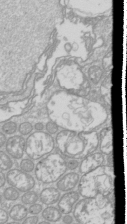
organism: Drosophila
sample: Cell division; meiosis; drosophila spermatocytes